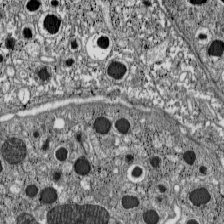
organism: C57BL Mouse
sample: Pancreatic islet